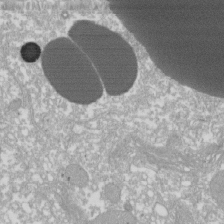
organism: Xenopus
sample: Cilia; centrioles in frog embryo cells